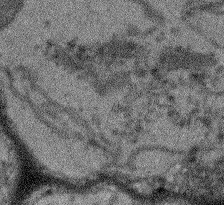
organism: Arabidopsis thaliana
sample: Root tip